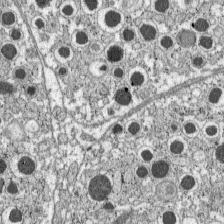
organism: C57BL Mouse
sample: Pancreatic islet